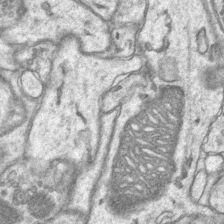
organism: Mouse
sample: CA1 Hippocampus